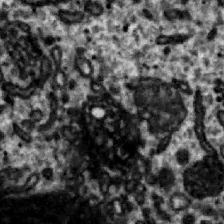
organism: Human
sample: HeLa cells